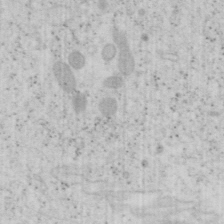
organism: Human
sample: HeLa cells